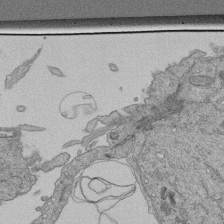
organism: Human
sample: Retinal organoid Rod and Cone cells